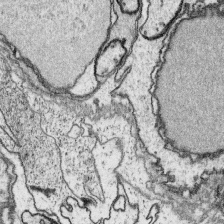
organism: Platynereis dumerilii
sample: Parapodia